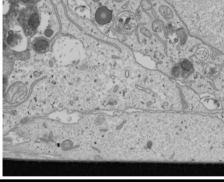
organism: Human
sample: Mitochondria in U2OS cells